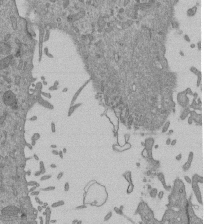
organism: Mouse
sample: ED-1 cell nuclei; centrioles